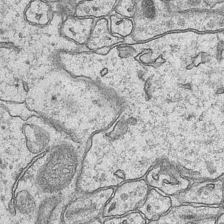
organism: Mouse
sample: CA1 Hippocampus